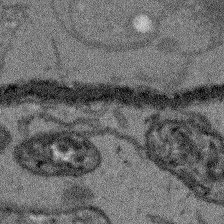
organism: Arabidopsis thaliana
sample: Root tip